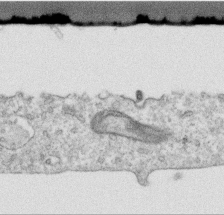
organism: Human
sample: Centriole in RPE cells